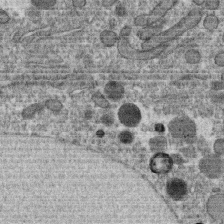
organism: C. elegans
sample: C. elegans oocyte; sperm cells